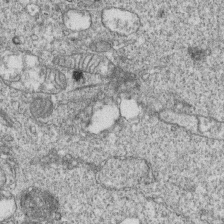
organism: Human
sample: HeLa cell HIV synapse